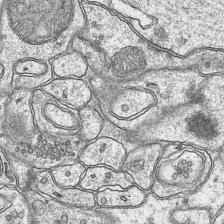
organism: Mouse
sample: CA1 Hippocampus